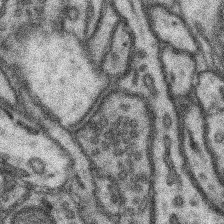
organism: Mouse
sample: Somatosensory cortex neuropil